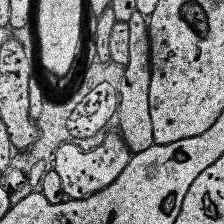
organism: Human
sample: Temporal Lobe